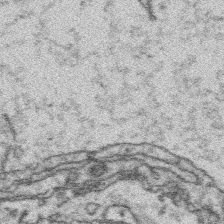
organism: Platynereis dumerilii